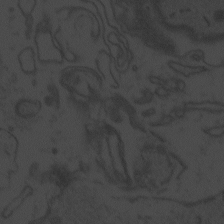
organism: Zebrafish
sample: Macrophage infected with Toxoplasma gondii